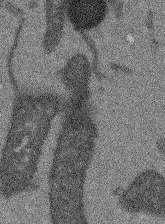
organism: Arabidopsis thaliana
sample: Root tip